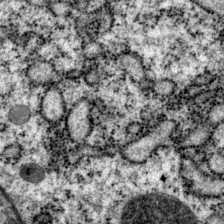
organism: P. pacificus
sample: Pharynx